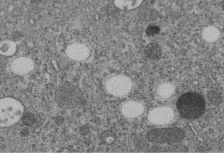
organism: C. elegans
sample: C. elegans embryo early stage